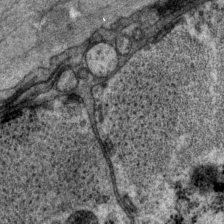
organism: P. pacificus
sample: Pharynx